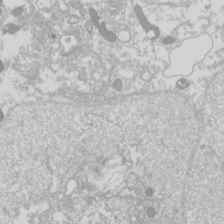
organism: Drosophila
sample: Cell division; meiosis; drosophila spermatocytes